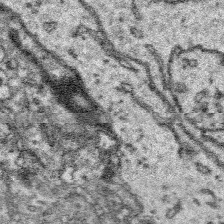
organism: Platynereis dumerilii